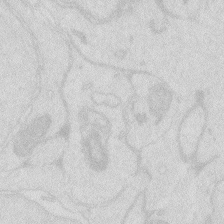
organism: Zebrafish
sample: Macrophage